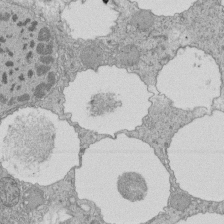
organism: Tetrahymena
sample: Cilia in tetrahymena